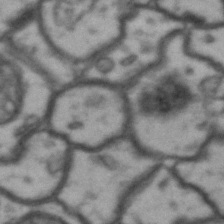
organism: Drosophila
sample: Brain